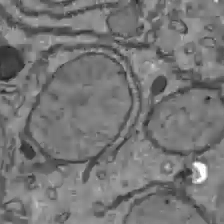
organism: C57BL Mouse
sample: Liver